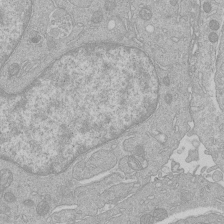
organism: Human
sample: Macrophage cells